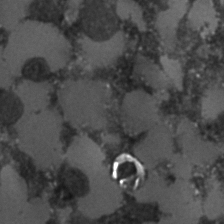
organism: C. elegans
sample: C. elegans embryo